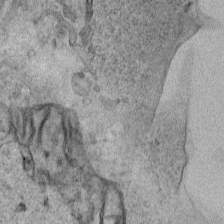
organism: Human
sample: Mitochondria in HCT116 cells